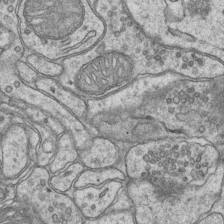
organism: Mouse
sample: CA1 Hippocampus